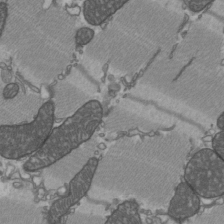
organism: C57BL Mouse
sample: Heart